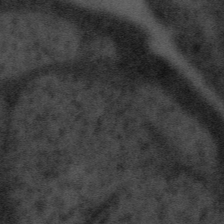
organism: Tuwongella immobilis